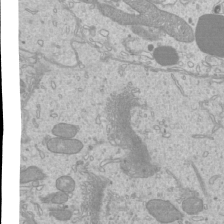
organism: Mouse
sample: Cilia; mouse epididymis